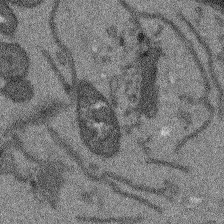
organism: Arabidopsis thaliana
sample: Root tip